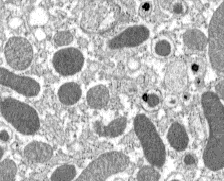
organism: C57BL Mouse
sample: Pancreatic islet